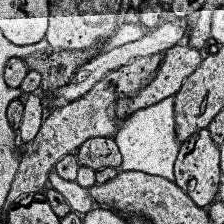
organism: Human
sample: Temporal Lobe